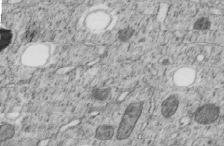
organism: C. elegans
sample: C. elegans embryo early stage